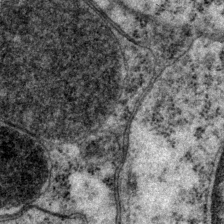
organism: P. pacificus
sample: Pharynx